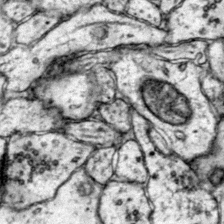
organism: Mouse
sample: Primary visual cortex